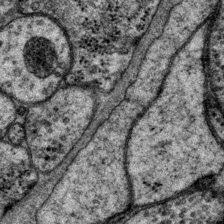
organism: P. pacificus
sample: Pharynx